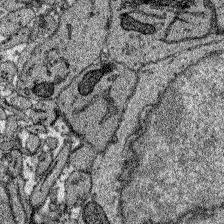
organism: Zebrafish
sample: Larval olfactory bulb